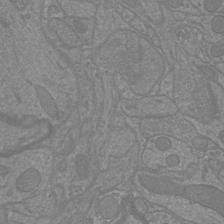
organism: Mouse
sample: Cortical neurons